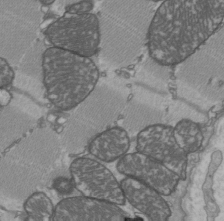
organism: C57BL Mouse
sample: Heart